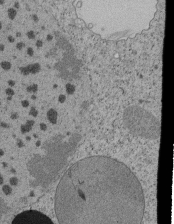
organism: Tetrahymena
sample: Cilia in tetrahymena